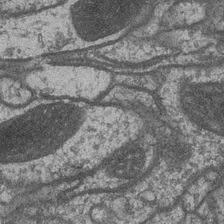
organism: Drosophila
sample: Optic medulla